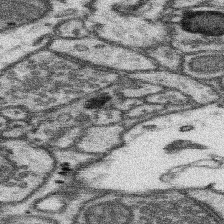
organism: Mouse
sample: Somatosensory cortex neuropil